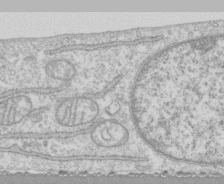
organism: Human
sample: CRL-1474